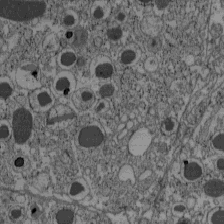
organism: C57BL Mouse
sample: Pancreatic islet